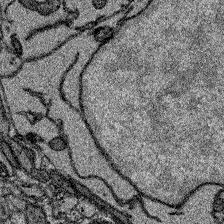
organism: Zebrafish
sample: Larval olfactory bulb